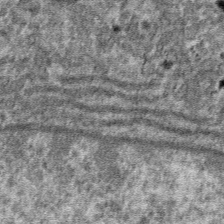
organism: Mouse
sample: Mouse hepatocytes